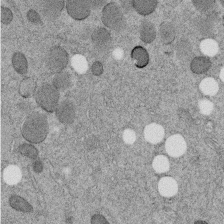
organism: C. elegans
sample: C. elegans embryo early stage